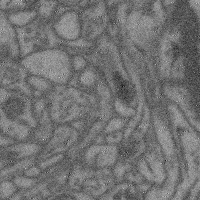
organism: Mouse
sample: Cerebral cortex